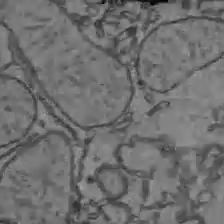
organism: C57BL Mouse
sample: Liver